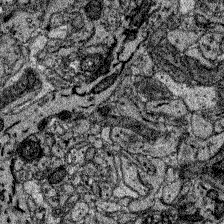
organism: Zebrafish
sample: Larval olfactory bulb